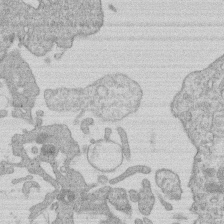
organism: Human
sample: Macrophage cells